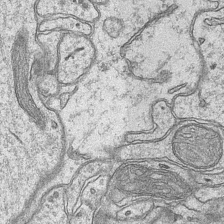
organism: Mouse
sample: CA1 Hippocampus